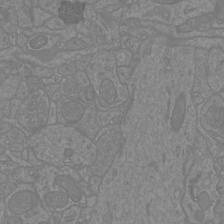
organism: Mouse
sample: Cortical neurons